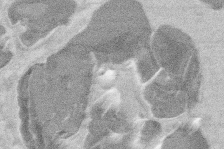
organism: Mouse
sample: T cell stromal cell synapse